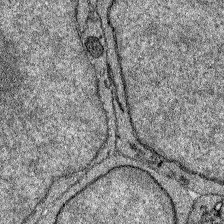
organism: Zebrafish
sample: Larval olfactory bulb